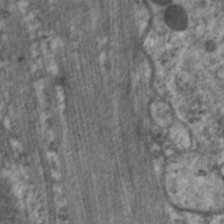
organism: C. elegans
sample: Pharynx